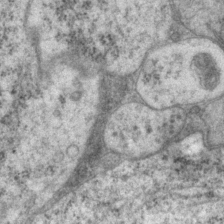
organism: P. pacificus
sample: Pharynx